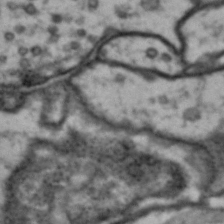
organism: Drosophila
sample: Brain